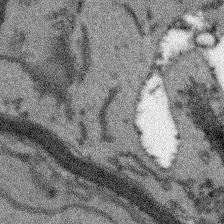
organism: Arabidopsis thaliana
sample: Root tip